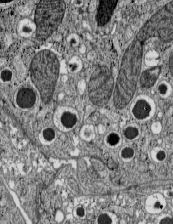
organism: C57BL Mouse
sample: Pancreatic islet